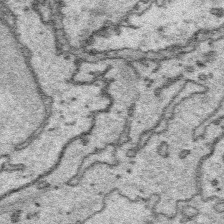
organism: Platynereis dumerilii